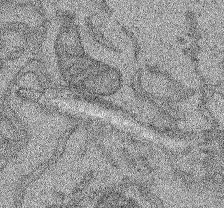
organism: Human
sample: HeLa cells